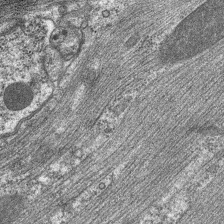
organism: C. elegans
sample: Pharynx